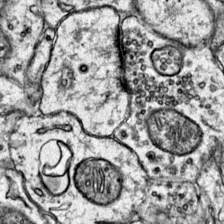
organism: Mouse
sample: Primary visual cortex